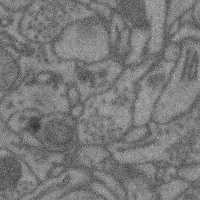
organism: Mouse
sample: Cerebral cortex